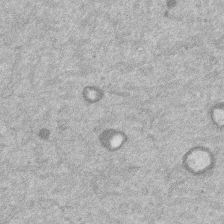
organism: Mouse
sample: Dividing mouse embryo 1 cell stage